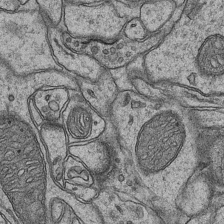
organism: Mouse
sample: CA1 Hippocampus